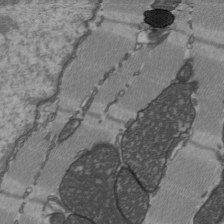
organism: C57BL Mouse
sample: Heart